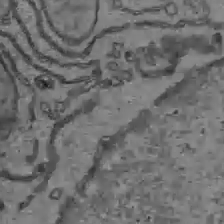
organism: C57BL Mouse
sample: Liver